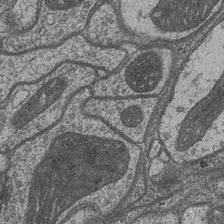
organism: Drosophila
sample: Optic medulla